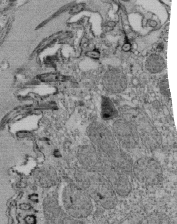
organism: Tetrahymena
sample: Cilia in tetrahymena